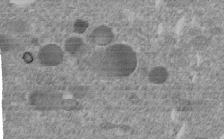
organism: C. elegans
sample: C. elegans embryo early stage